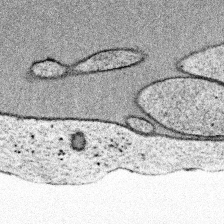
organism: Human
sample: HeLa cells